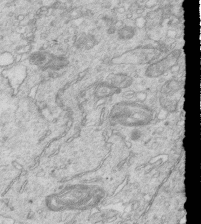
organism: Mouse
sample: Multiciliated cells